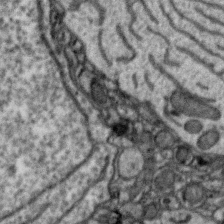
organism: Zebra finch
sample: Brain